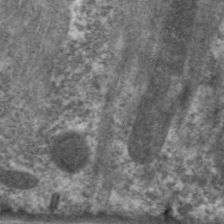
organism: C. elegans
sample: Pharynx